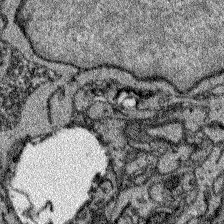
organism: Zebrafish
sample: Larval olfactory bulb